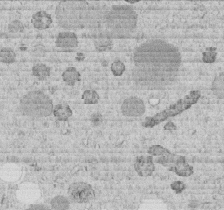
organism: C. elegans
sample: C. elegans embryo early stage